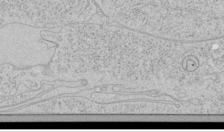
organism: Human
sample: Mitochondria in HCT116 cells